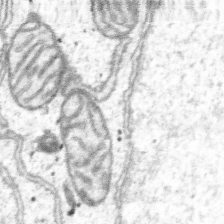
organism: Human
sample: HeLa cells